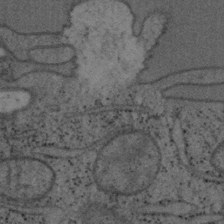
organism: Human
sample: HeLa cells